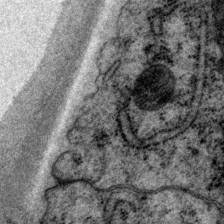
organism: P. pacificus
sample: Pharynx